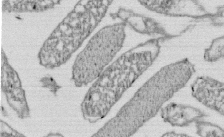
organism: E. coli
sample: Bacterial nucleoid